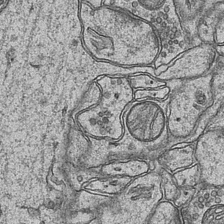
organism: Mouse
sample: CA1 Hippocampus